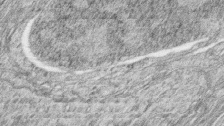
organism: Zebrafish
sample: synaptic ribbons in rod cells and cone cells